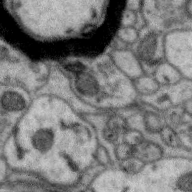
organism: Zebra finch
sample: Brain